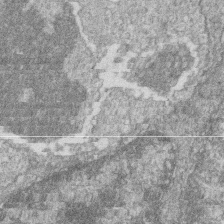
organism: Zebrafish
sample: Cilia; retinal pigment epithelium